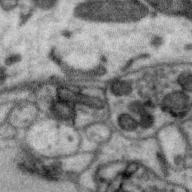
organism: Zebra finch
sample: Brain